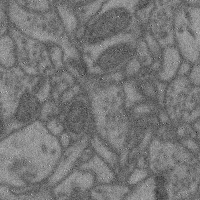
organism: Mouse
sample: Cerebral cortex